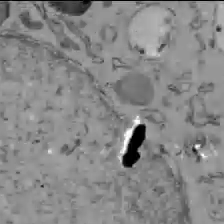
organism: C57BL Mouse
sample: Liver